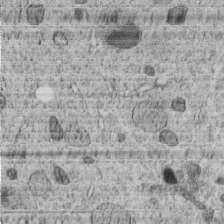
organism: C. elegans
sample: C. elegans embryo early stage